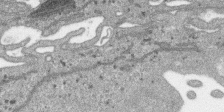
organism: Human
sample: Lung epithelial cells infected with SARS-CoV-2